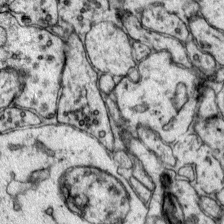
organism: Mouse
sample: Primary visual cortex